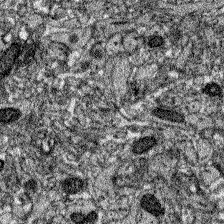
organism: Zebrafish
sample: Larval olfactory bulb